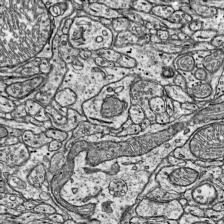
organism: Mouse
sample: Visual Cortex